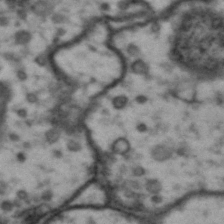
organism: Drosophila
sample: Brain